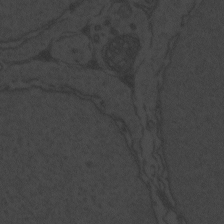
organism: Zebrafish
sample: Macrophage infected with Toxoplasma gondii